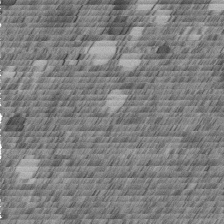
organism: C. elegans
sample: C. elegans embryo early stage